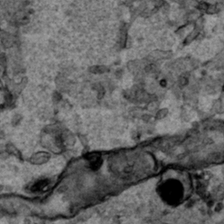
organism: Human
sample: Mitochondria in HCT116 cells